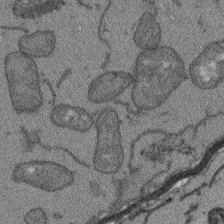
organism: Arabidopsis thaliana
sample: Root tip